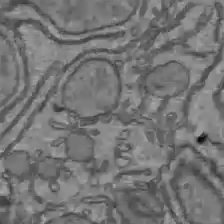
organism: C57BL Mouse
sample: Liver